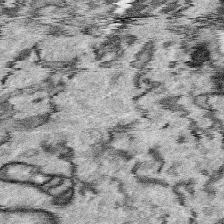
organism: Human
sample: HeLa cells